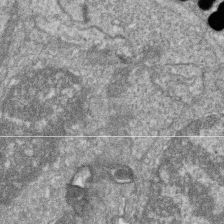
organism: Zebrafish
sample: Cilia; retinal pigment epithelium